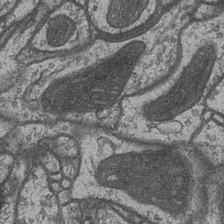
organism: Drosophila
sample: Optic medulla